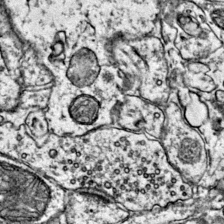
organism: Mouse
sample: Primary visual cortex